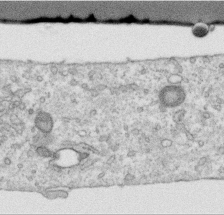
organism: Human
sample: Centriole in RPE cells